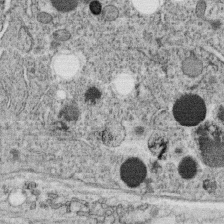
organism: C. elegans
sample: C. elegans oocyte; sperm cells